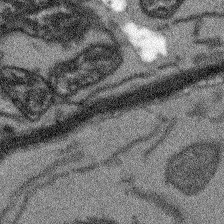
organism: Arabidopsis thaliana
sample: Root tip